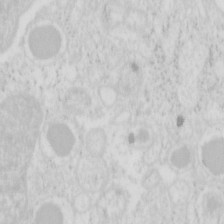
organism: Mouse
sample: Pancreas